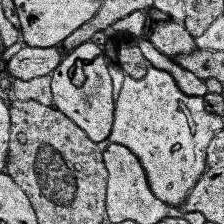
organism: Human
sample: Temporal Lobe